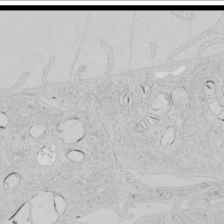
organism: Human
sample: Mitochondria in HCT116 cells